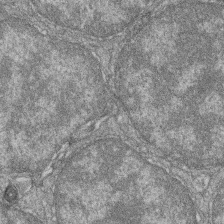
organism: Zebrafish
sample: Cilia; retinal pigment epithelium